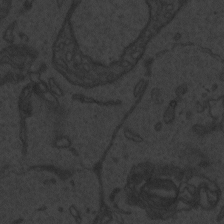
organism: Zebrafish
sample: Macrophage infected with Toxoplasma gondii